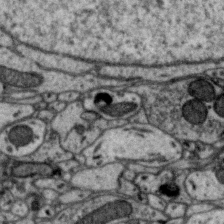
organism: Zebra finch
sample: Brain